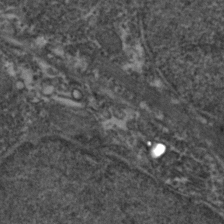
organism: Zebrafish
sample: Zebrafish embryo